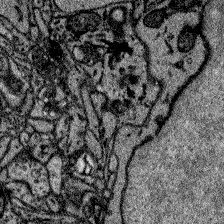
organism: Zebrafish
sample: Larval olfactory bulb